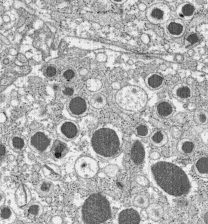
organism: C57BL Mouse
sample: Pancreatic islet